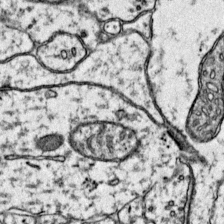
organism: Mouse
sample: Primary visual cortex